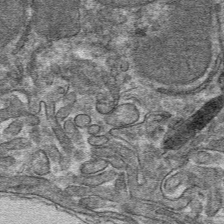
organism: Mouse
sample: Mouse hepatocytes